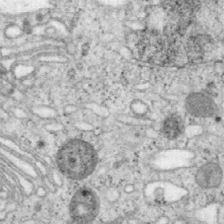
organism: Mouse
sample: OT-I killer T cells with ID8 ovarian cancer cells